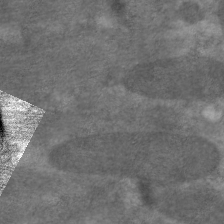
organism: C. elegans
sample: Pharynx